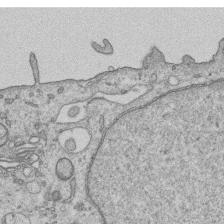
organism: Human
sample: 1205lu cells